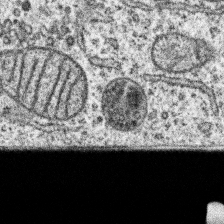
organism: Human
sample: HeLa cells